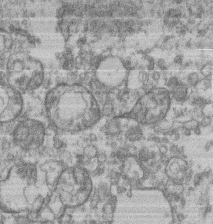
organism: Mouse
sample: T cell stromal cell synapse